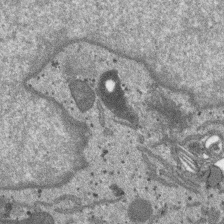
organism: Human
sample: Lung epithelial cells infected with SARS-CoV-2